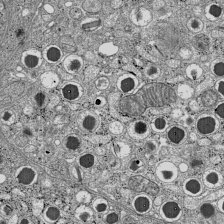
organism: C57BL Mouse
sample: Pancreatic islet